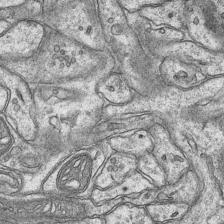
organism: Mouse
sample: CA1 Hippocampus